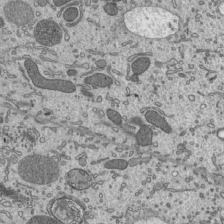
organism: Mouse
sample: Mouse epididymis efferent ductule cilia